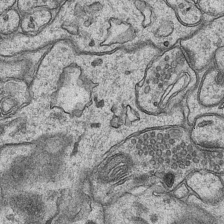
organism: Mouse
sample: CA1 Hippocampus